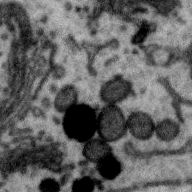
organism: Zebra finch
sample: Brain